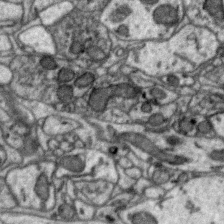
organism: Zebra finch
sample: Brain